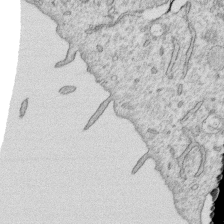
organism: Human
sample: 1205lu cells